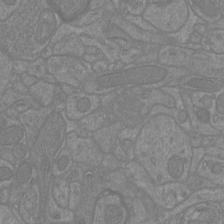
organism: Mouse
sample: Cortical neurons